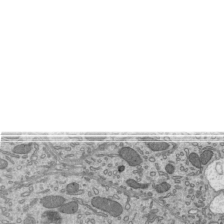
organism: Mouse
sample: Mouse epididymis efferent ductule cilia